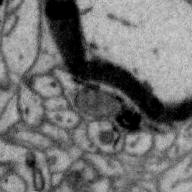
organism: Zebra finch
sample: Brain